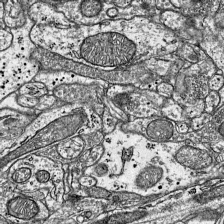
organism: Mouse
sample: Visual Cortex